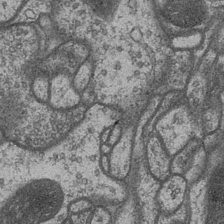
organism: Drosophila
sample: Optic medulla